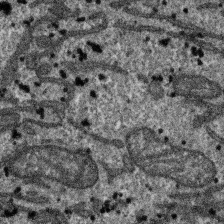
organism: Human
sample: Lung epithelial cells infected with SARS-CoV-2